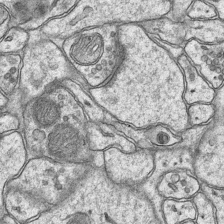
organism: Mouse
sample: CA1 Hippocampus